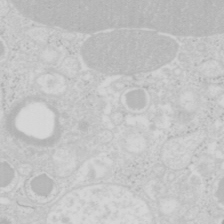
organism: Mouse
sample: Pancreas